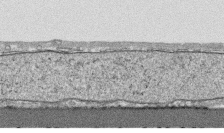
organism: Human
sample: CRL-1474